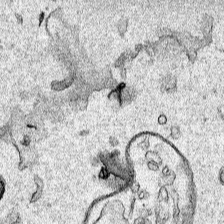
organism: Human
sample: Mitochondria in HCT116 cells